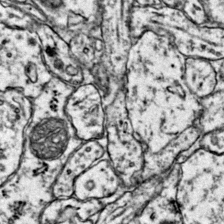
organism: Mouse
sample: Primary visual cortex